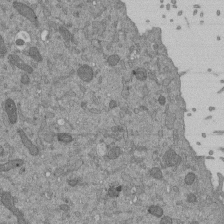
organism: Mouse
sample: ED-1 cell nuclei; centrioles